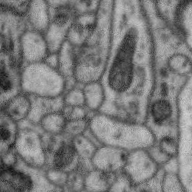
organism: Zebra finch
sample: Brain